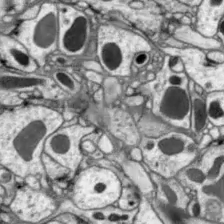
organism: Drosophila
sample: Optic lobe